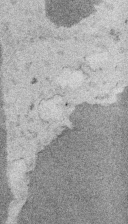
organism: Embia sp.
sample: Silk gland